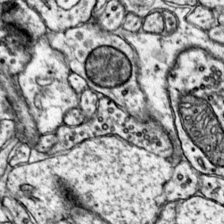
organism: Mouse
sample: Primary visual cortex